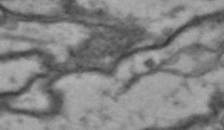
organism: Drosophila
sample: Brain